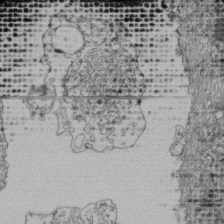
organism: Human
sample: Retinal organoid Rod and Cone cells